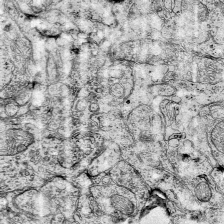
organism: Mouse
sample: Visual Cortex